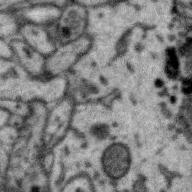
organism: Zebra finch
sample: Brain